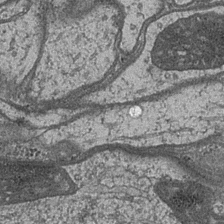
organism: Drosophila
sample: Optic medulla